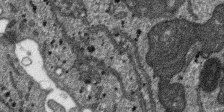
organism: Human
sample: Lung epithelial cells infected with SARS-CoV-2